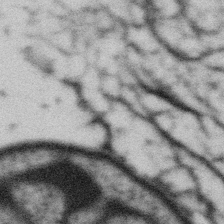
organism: Gemmata obscuriglobus